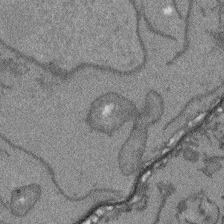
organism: Arabidopsis thaliana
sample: Root tip